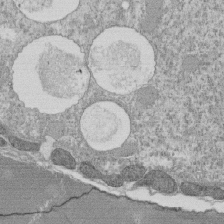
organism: Tetrahymena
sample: Cilia in tetrahymena